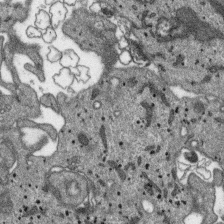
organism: Human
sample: Lung epithelial cells, uninfected (mock) control